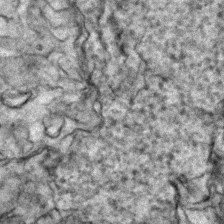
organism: Zebrafish